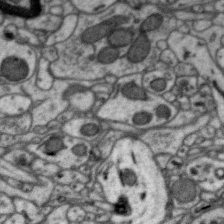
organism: Zebra finch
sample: Brain